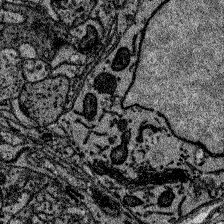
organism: Zebrafish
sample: Larval olfactory bulb